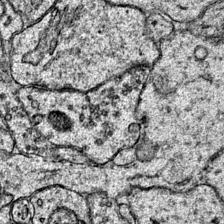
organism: Mouse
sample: Primary visual cortex